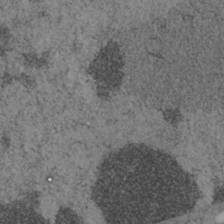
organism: Mouse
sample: OT-I killer T cells with ID8 ovarian cancer cells